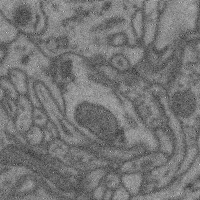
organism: Mouse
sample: Cerebral cortex